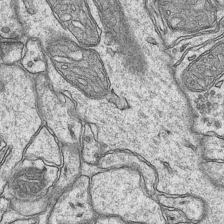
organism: Mouse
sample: CA1 Hippocampus